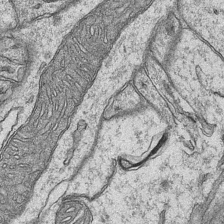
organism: Mouse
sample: CA1 Hippocampus